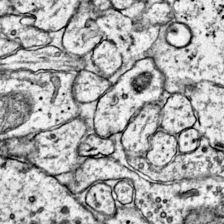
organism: Mouse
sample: Primary visual cortex